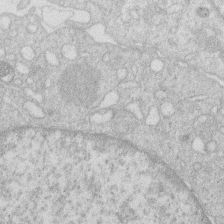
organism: Human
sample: Macrophage cells